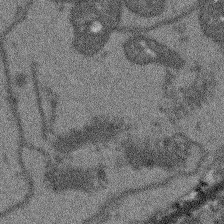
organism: Arabidopsis thaliana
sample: Root tip